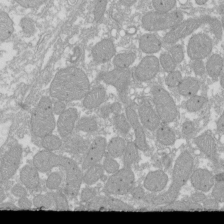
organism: Xenopus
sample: Cilia; centrioles in frog embryo cells